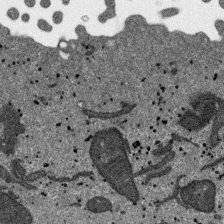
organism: Human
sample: Lung epithelial cells, uninfected (mock) control